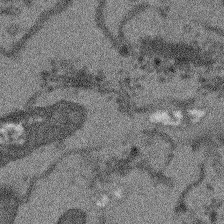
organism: Arabidopsis thaliana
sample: Root tip